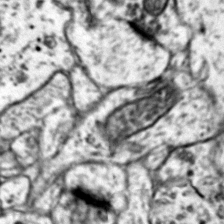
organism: Mouse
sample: Primary visual cortex